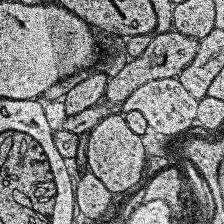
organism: Human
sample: Temporal Lobe